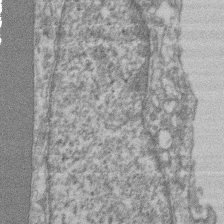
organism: Mouse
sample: T cell stromal cell synapse